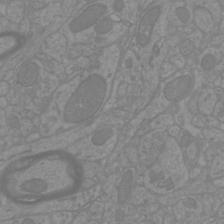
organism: Mouse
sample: Cortical neurons